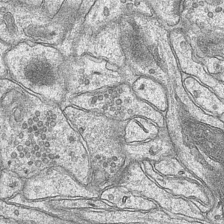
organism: Mouse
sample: CA1 Hippocampus